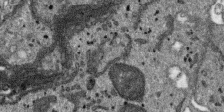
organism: Human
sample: Lung epithelial cells, uninfected (mock) control